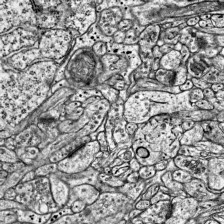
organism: Mouse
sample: Visual Cortex